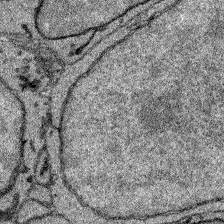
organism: Zebrafish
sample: Larval olfactory bulb